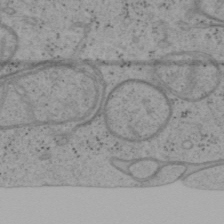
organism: Human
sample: HeLa cells